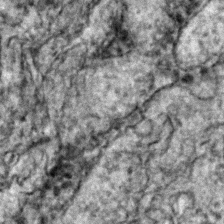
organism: Zebrafish